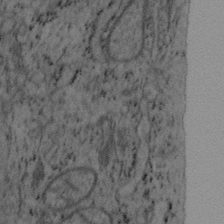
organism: Human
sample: HeLa cells